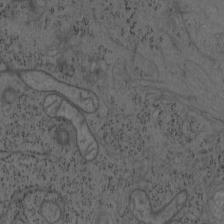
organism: Mouse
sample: OT-I killer T cells with ID8 ovarian cancer cells